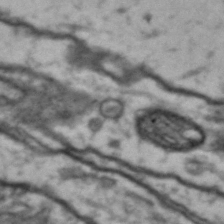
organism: Drosophila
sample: Brain